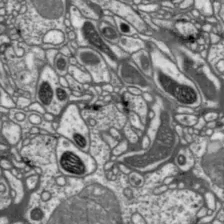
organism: Drosophila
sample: Protocerebral bridge